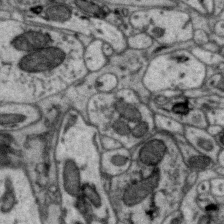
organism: Zebra finch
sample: Brain